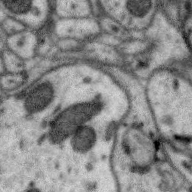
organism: Zebra finch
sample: Brain